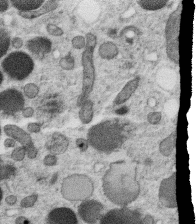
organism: C. elegans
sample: C. elegans oocyte; sperm cells